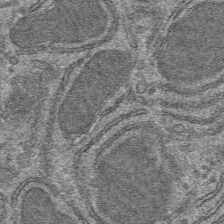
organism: Mouse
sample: Mouse hepatocytes